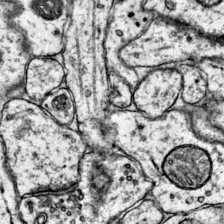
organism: Mouse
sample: Primary visual cortex